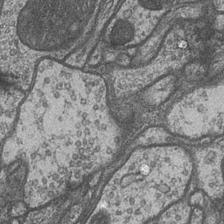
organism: Drosophila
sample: Optic medulla